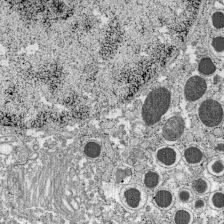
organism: C57BL Mouse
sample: Pancreatic islet